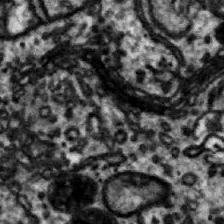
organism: Human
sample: HeLa cells